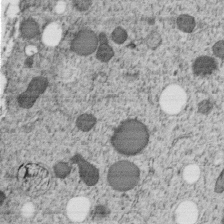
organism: C. elegans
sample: C. elegans embryo early stage